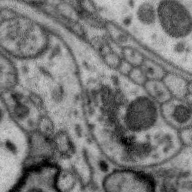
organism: Zebra finch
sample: Brain